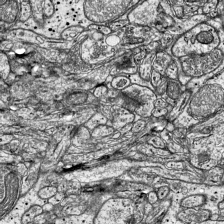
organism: Mouse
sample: Visual Cortex